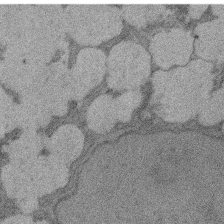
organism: Rat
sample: Salivary granule